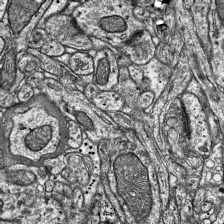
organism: Mouse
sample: Visual Cortex